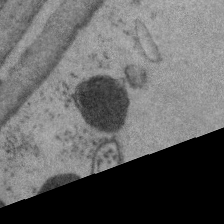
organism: C. elegans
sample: Pharynx